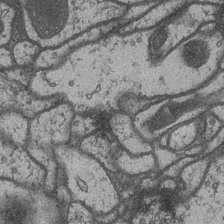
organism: Drosophila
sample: Optic medulla